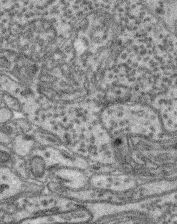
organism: Mouse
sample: Retina